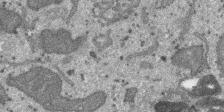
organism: Human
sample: Lung epithelial cells infected with SARS-CoV-2